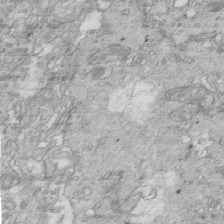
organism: Mouse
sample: Multiciliated cells